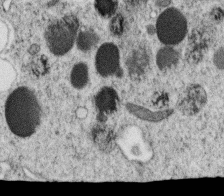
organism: C. elegans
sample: C. elegans oocyte; sperm cells